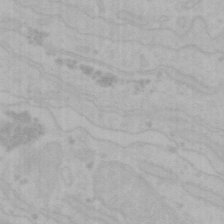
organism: Mouse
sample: Choroid plexus